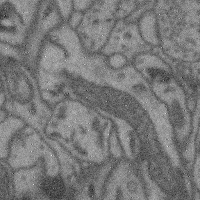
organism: Mouse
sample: Cerebral cortex